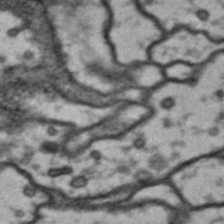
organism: Drosophila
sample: Brain